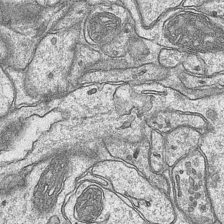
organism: Mouse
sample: CA1 Hippocampus